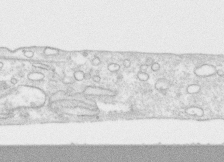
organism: Human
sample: CRL-1474